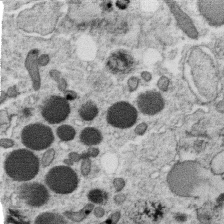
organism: C. elegans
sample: C. elegans oocyte; sperm cells